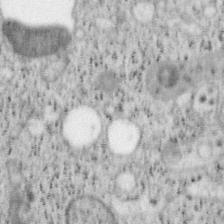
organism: Mouse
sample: OT-I killer T cells with ID8 ovarian cancer cells